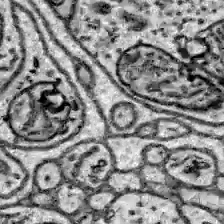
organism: Zebrafish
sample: Brain